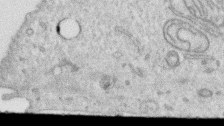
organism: Human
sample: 1205lu cells